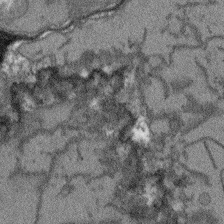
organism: Arabidopsis thaliana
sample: Root tip